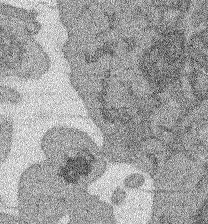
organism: Human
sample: HeLa cells